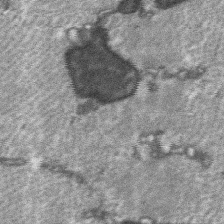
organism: C57BL Mouse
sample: Soleus